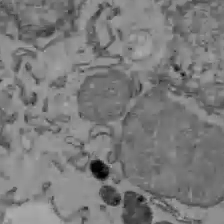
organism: C57BL Mouse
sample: Liver